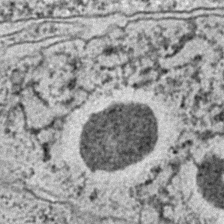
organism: C. elegans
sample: C. elegans embryo